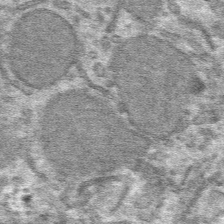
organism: Mouse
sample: Mouse hepatocytes